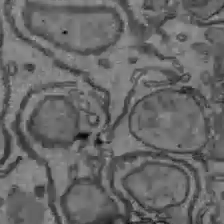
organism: C57BL Mouse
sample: Liver